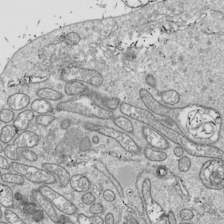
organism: Drosophila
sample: Cell division; meiosis; drosophila spermatocytes